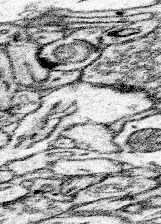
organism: Mouse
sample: Somatosensory cortex neuropil